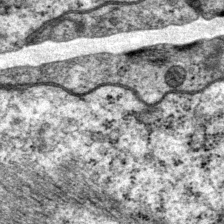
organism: P. pacificus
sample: Pharynx